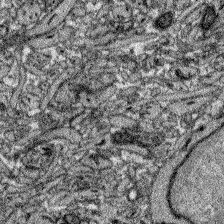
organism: Zebrafish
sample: Larval olfactory bulb